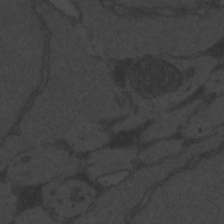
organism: Zebrafish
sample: Macrophage infected with Toxoplasma gondii